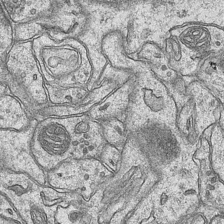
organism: Mouse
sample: CA1 Hippocampus